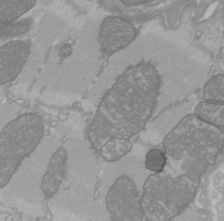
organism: C57BL Mouse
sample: Heart